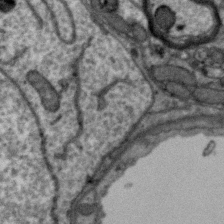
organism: Zebra finch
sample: Brain